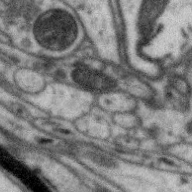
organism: Zebra finch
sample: Brain